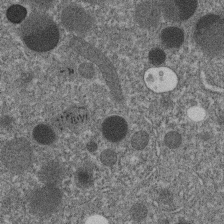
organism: C. elegans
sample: C. elegans embryo early stage